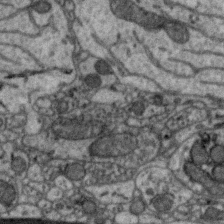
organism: Zebra finch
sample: Brain